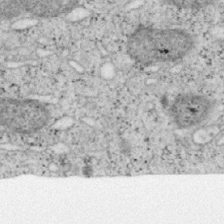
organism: Mouse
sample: OT-I killer T cells with ID8 ovarian cancer cells